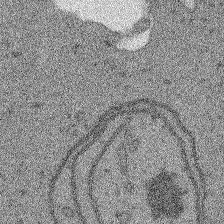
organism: Human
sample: HeLa cells